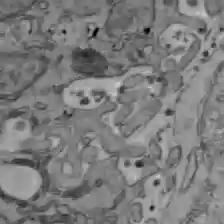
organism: C57BL Mouse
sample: Liver